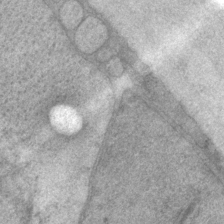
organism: P. pacificus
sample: Pharynx